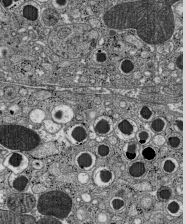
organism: C57BL Mouse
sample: Pancreatic islet